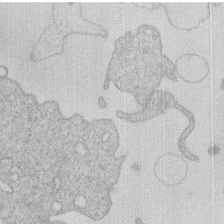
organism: Human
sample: Macrophage cells